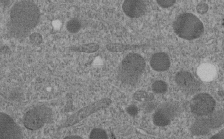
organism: C. elegans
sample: C. elegans embryo early stage